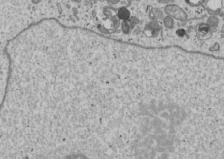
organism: Human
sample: Mitochondria in U2OS cells